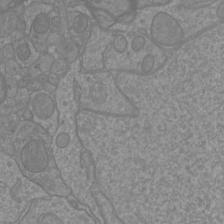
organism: Mouse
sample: Cortical neurons